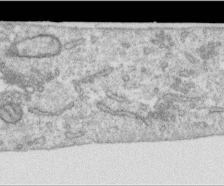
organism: Human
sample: Centriole in RPE cells